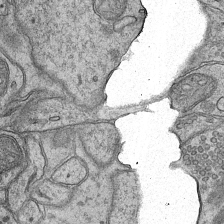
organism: Mouse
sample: CA1 Hippocampus